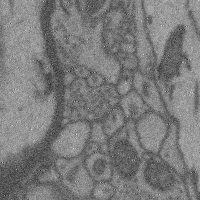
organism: Mouse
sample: Cerebral cortex